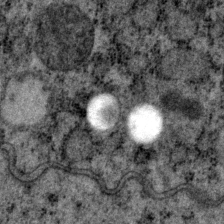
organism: P. pacificus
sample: Pharynx